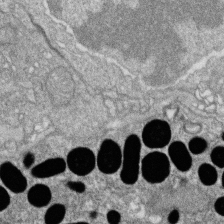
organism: Zebrafish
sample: Cilia; retinal pigment epithelium